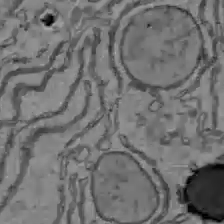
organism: C57BL Mouse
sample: Liver